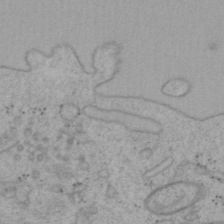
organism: Human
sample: HeLa cells